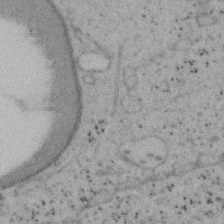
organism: Human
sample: HeLa cells